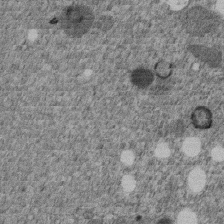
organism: C. elegans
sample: C. elegans embryo early stage